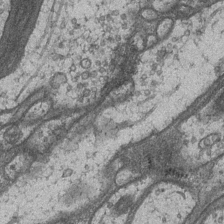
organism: Drosophila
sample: Optic medulla